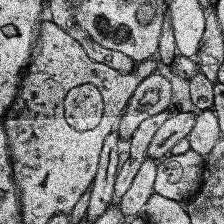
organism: Human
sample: Temporal Lobe